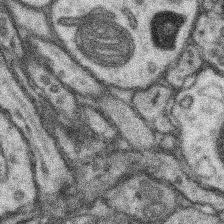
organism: Mouse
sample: Somatosensory cortex neuropil